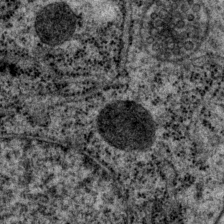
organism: P. pacificus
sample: Pharynx